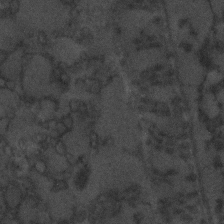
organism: C. elegans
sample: C. elegans embryo